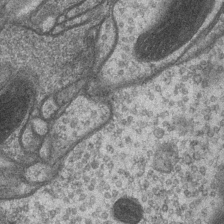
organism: Drosophila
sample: Optic medulla